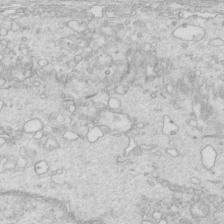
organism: Mouse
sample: Multiciliated cells